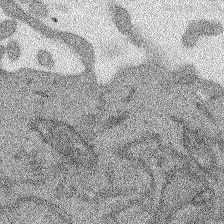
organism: Human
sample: HeLa cells